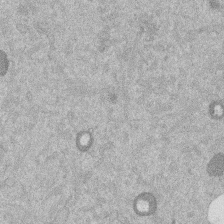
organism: Mouse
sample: Dividing mouse embryo 1 cell stage